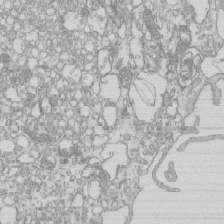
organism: Mouse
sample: Macrophages